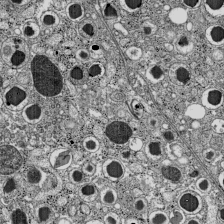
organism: C57BL Mouse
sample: Pancreatic islet